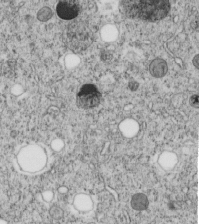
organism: C. elegans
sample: C. elegans embryo early stage